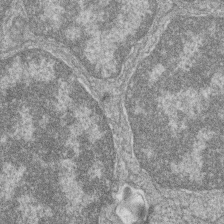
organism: Zebrafish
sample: Cilia; retinal pigment epithelium